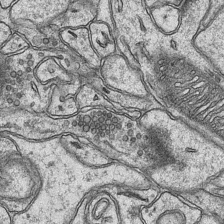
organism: Mouse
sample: CA1 Hippocampus